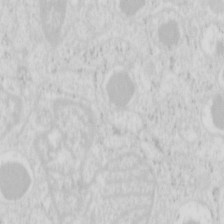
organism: Mouse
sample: Pancreas